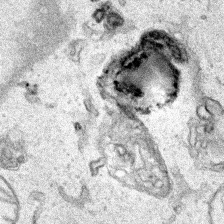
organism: Human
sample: Mitochondria in HCT116 cells